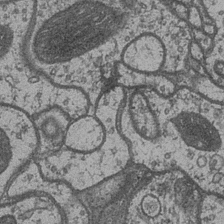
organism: Drosophila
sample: Optic medulla